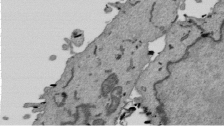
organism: Mouse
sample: ED-1 cell nuclei; centrioles